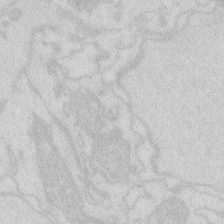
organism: Zebrafish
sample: Macrophage